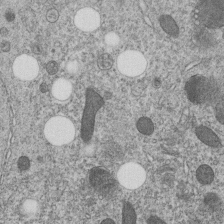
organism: C. elegans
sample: C. elegans embryo early stage